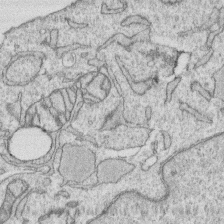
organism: Human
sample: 1205lu cells